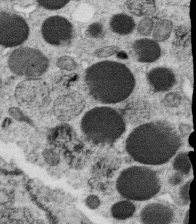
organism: C. elegans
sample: C. elegans oocyte; sperm cells